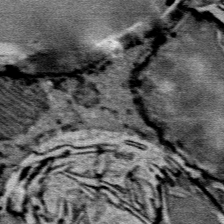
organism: Mouse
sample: Mouse Salivary gland